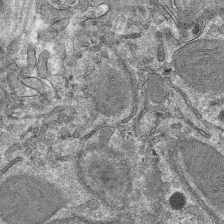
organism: Mouse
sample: Mouse hepatocytes